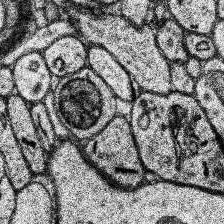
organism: Human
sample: Temporal Lobe